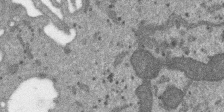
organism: Human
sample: Lung epithelial cells infected with SARS-CoV-2